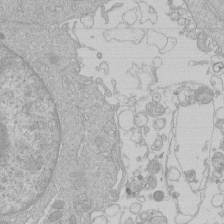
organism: Human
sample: Macrophage cells